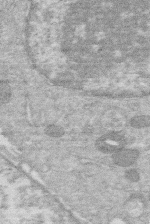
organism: Human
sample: Macrophage cells